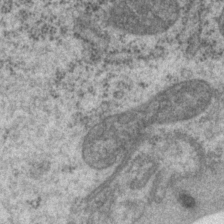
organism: P. pacificus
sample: Pharynx